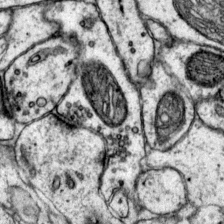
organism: Mouse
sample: Primary visual cortex